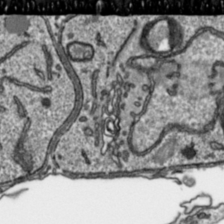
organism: Toxoplasma gondii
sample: Parasites in a vacuole inside a host cell